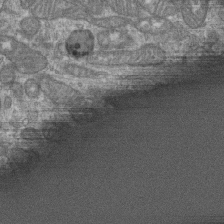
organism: Human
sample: Retinal organoid Rod and Cone cells